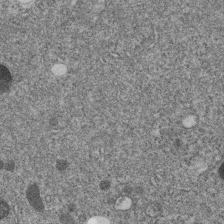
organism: C. elegans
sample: C. elegans embryo early stage